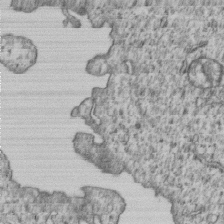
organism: Human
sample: MDA-MB-231 cells